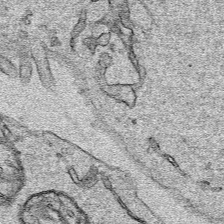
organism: Human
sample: Mitochondria in HCT116 cells